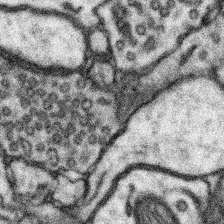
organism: Mouse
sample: Somatosensory cortex neuropil